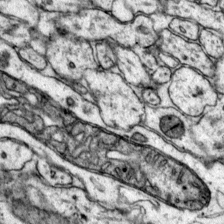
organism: Mouse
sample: Primary visual cortex